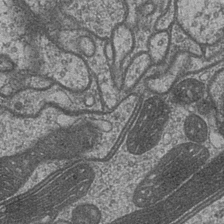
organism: Drosophila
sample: Optic medulla